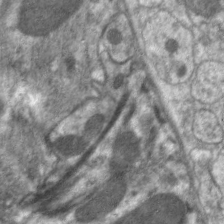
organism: C. elegans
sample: Pharynx